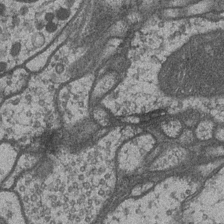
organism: Drosophila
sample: Optic medulla